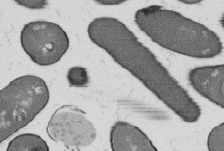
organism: B. subtilis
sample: Bacterial spore